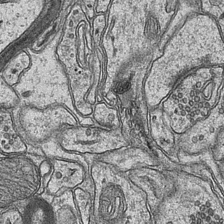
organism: Mouse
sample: CA1 Hippocampus